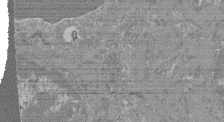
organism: Mouse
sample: Glomerulus